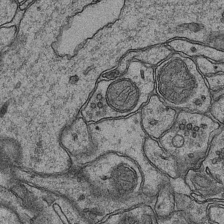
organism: Mouse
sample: CA1 Hippocampus